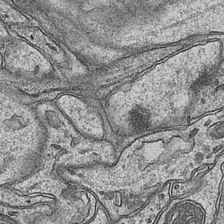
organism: Mouse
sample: CA1 Hippocampus